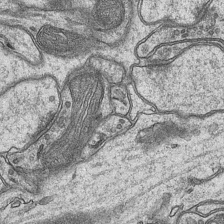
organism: Mouse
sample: CA1 Hippocampus